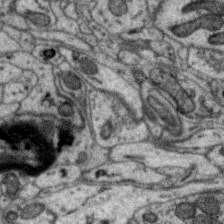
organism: Zebra finch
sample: Brain